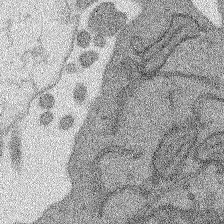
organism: Human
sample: HeLa cells